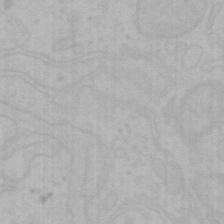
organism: Mouse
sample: Choroid plexus